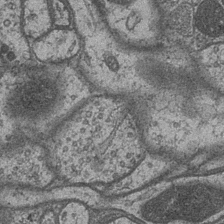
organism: Drosophila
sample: Optic medulla